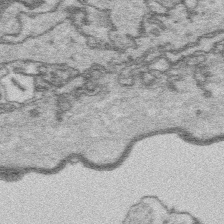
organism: Platynereis dumerilii